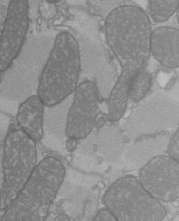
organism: C57BL Mouse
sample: Heart